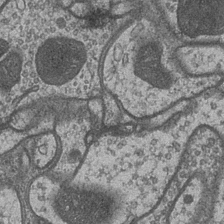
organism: Drosophila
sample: Optic medulla